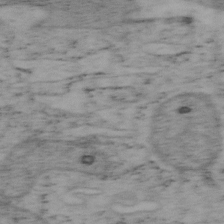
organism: Mouse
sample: OT-I killer T cells with ID8 ovarian cancer cells